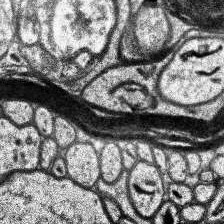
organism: Human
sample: Temporal Lobe